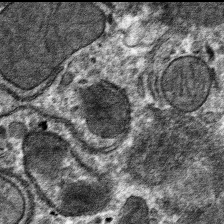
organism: Mouse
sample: Mouse hepatocytes